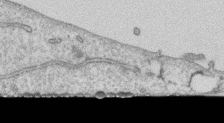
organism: Human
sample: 1205lu cells